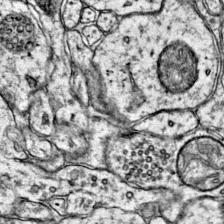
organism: Mouse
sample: Primary visual cortex